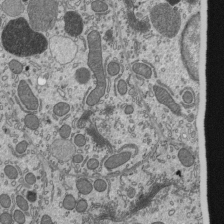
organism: Mouse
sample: Mouse epididymis efferent ductule cilia